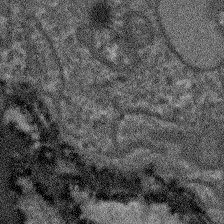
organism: Arabidopsis thaliana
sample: Root tip